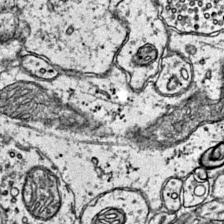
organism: Mouse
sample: Primary visual cortex